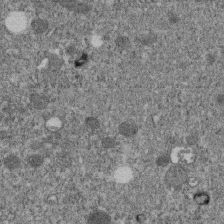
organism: C. elegans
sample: C. elegans embryo early stage